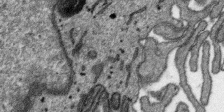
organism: Human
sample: Lung epithelial cells, uninfected (mock) control